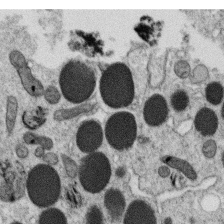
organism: C. elegans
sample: C. elegans oocyte; sperm cells